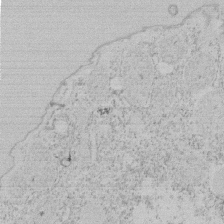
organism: Tetrahymena